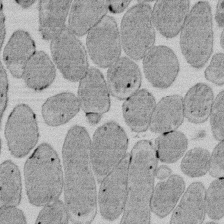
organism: E. coli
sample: Bacterial nucleoid